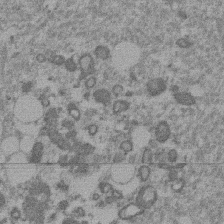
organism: Mouse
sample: Dividing mouse embryo 1 cell stage